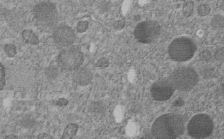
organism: C. elegans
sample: C. elegans embryo early stage